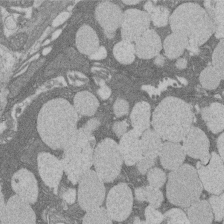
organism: Rat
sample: Salivary granule